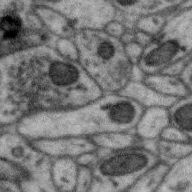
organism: Zebra finch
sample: Brain